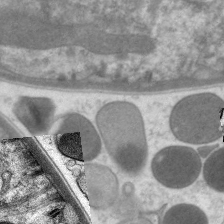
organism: C. elegans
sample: Pharynx